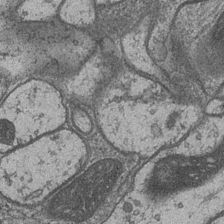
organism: Drosophila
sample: Optic medulla